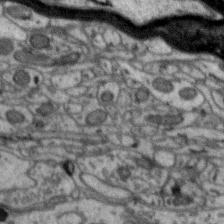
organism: Zebra finch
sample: Brain